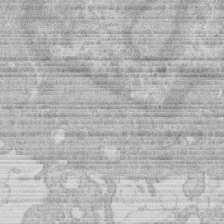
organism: Human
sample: Macrophage cells